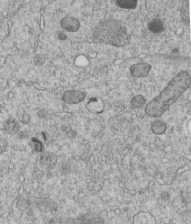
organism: C. elegans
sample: C. elegans embryo early stage